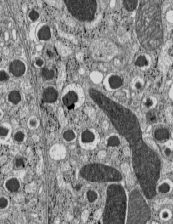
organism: C57BL Mouse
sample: Pancreatic islet